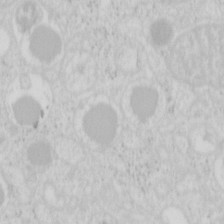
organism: Mouse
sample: Pancreas